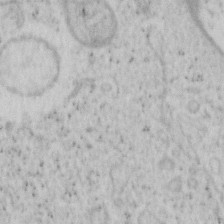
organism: Human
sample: HeLa cells